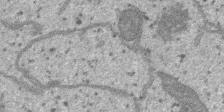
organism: Human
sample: Lung epithelial cells infected with SARS-CoV-2